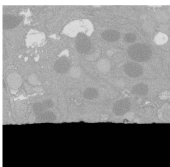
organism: C. elegans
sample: C. elegans oocyte; sperm cells